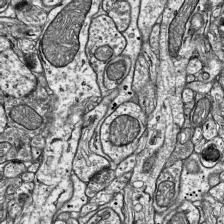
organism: Mouse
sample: Visual Cortex